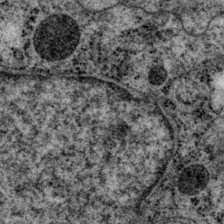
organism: P. pacificus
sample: Pharynx